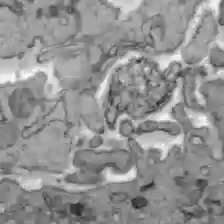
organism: C57BL Mouse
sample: Liver